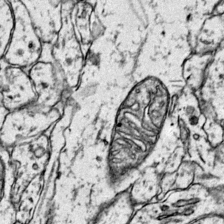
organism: Mouse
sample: Primary visual cortex